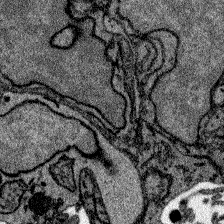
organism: Zebrafish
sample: Larval olfactory bulb